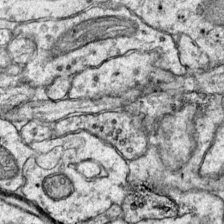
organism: Mouse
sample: Primary visual cortex